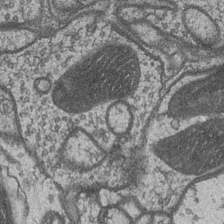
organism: Drosophila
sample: Optic medulla